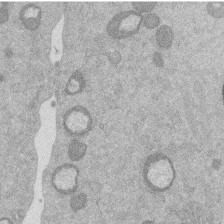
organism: Mouse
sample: Dividing mouse embryo 1 cell stage